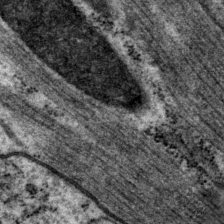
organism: P. pacificus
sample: Pharynx